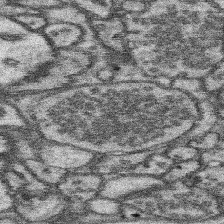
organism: Mouse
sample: Somatosensory cortex neuropil